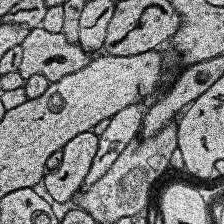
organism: Human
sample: Temporal Lobe